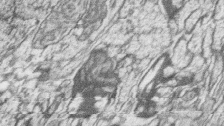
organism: Zebrafish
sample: synaptic ribbons in rod cells and cone cells